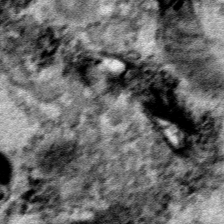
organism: Human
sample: Mitochondria in HCT116 cells